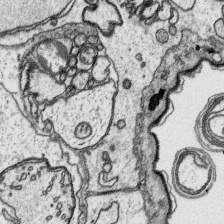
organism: Platynereis dumerilii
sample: Parapodia